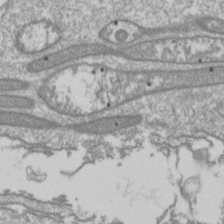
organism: Drosophila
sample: Cell division; meiosis; drosophila spermatocytes